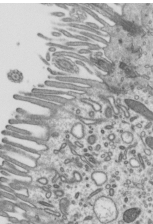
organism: Mouse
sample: Mouse epididymis efferent ductule cilia